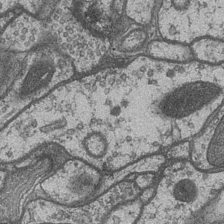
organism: Drosophila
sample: Optic medulla